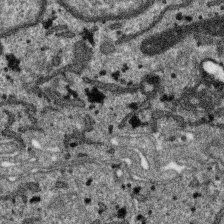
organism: Human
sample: Lung epithelial cells infected with SARS-CoV-2